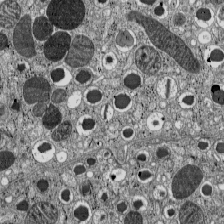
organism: C57BL Mouse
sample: Pancreatic islet